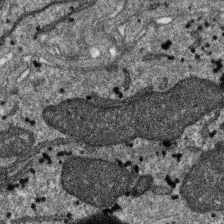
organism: Human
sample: Lung epithelial cells infected with SARS-CoV-2